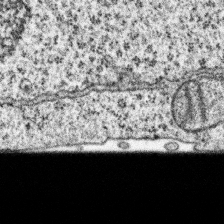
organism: Human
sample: HeLa cells